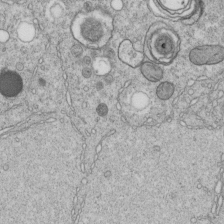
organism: C. elegans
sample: C. elegans embryo early stage